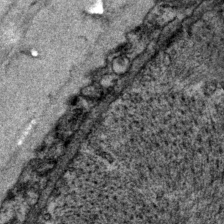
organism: P. pacificus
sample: Pharynx